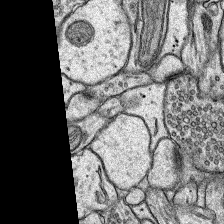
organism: Rat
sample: Hippocampus